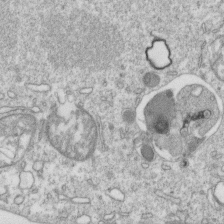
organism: Mouse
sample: Activated OT-1 CD8+ T cells